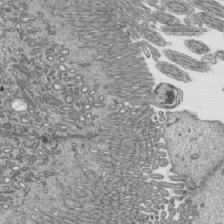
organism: Mouse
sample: Mouse epididymis efferent ductule cilia